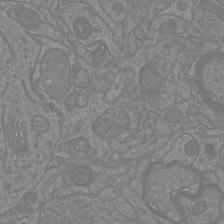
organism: Mouse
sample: Cortical neurons